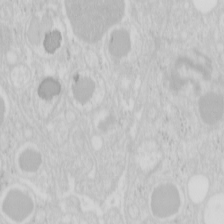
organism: Mouse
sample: Pancreas